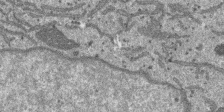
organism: Human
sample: Lung epithelial cells infected with SARS-CoV-2